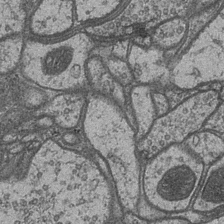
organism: Drosophila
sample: Optic medulla